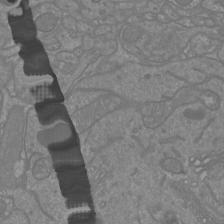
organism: Mouse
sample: Cortical neurons